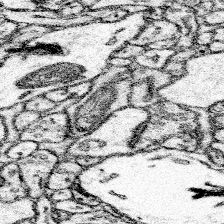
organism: Mouse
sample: Somatosensory cortex neuropil